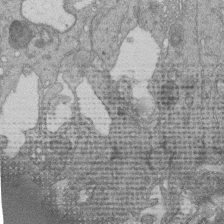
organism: Human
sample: Retinal organoid Rod and Cone cells